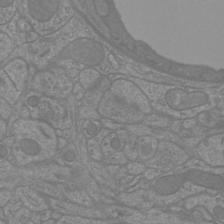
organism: Mouse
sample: Cortical neurons